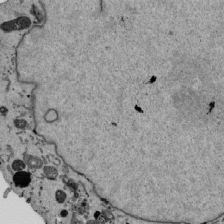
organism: Mouse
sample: ED-1 cell nuclei; centrioles